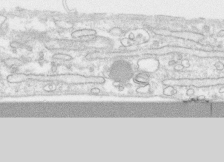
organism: Human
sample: CRL-1474